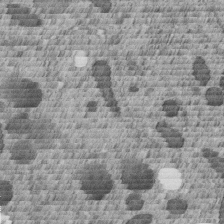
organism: C. elegans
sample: C. elegans embryo early stage